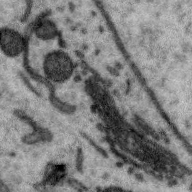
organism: Zebra finch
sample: Brain